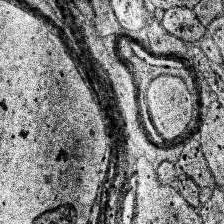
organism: Human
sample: Temporal Lobe